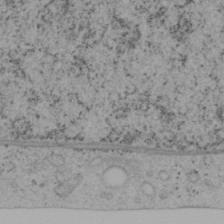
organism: Human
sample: HeLa cells